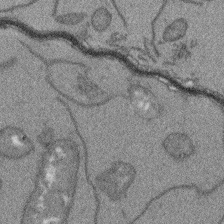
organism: Arabidopsis thaliana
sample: Root tip